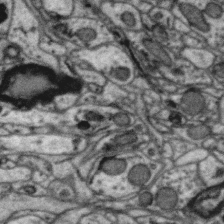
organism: Zebra finch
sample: Brain